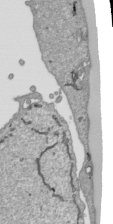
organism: Human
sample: Mitochondria in HCT116 cells